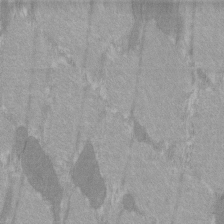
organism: C57BL Mouse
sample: Tibialis anterior muscle cell